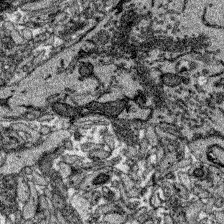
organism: Zebrafish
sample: Larval olfactory bulb